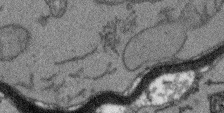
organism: Arabidopsis thaliana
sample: Root tip